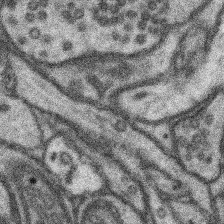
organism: Mouse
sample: Somatosensory cortex neuropil